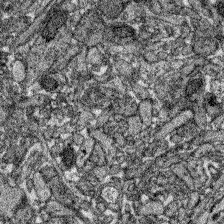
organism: Zebrafish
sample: Larval olfactory bulb